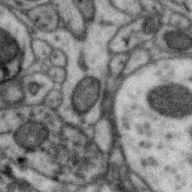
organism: Zebra finch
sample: Brain